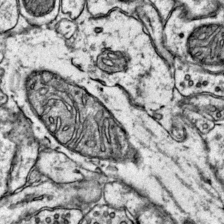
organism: Mouse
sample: Primary visual cortex